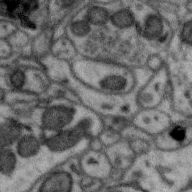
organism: Zebra finch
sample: Brain